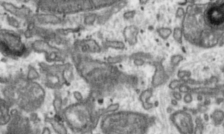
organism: Toxoplasma gondii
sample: Parasites in a vacuole inside a host cell